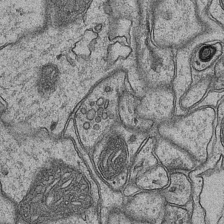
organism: Mouse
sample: CA1 Hippocampus